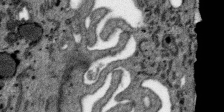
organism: Human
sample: Lung epithelial cells, uninfected (mock) control